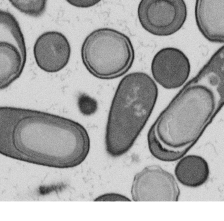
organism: B. subtilis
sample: Bacterial spore